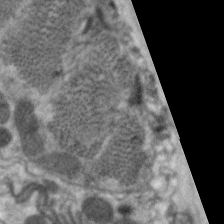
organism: C. elegans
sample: Pharynx